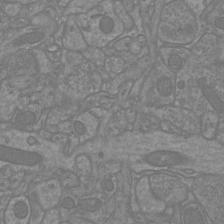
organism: Mouse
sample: Cortical neurons